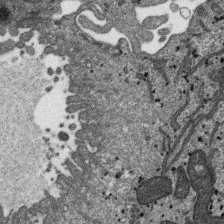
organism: Human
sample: Lung epithelial cells infected with SARS-CoV-2